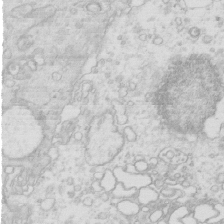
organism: Mouse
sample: Multiciliated cells